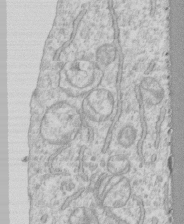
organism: Human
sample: CRL-1474